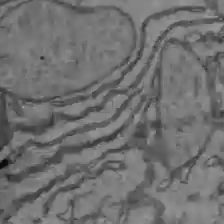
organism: C57BL Mouse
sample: Liver